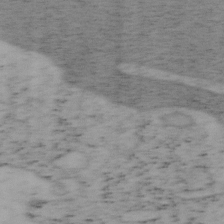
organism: Mouse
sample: OT-I killer T cells with ID8 ovarian cancer cells